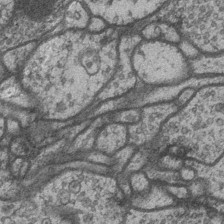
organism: Drosophila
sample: Optic medulla